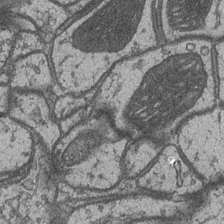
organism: Drosophila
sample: Optic medulla